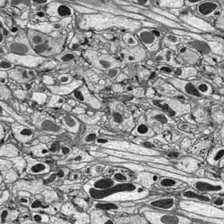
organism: Drosophila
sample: Optic lobe